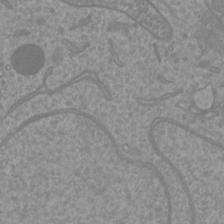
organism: Mouse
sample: Cortical neurons